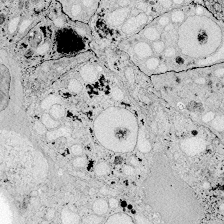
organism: Zebrafish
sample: Whole-Brain